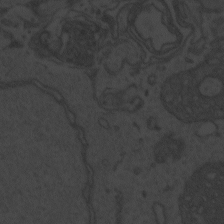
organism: Zebrafish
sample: Macrophage infected with Toxoplasma gondii